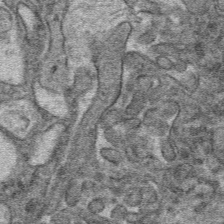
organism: Mouse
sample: Mouse hepatocytes